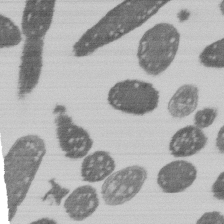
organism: E. coli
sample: Bacterial nucleoid